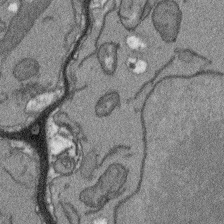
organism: Arabidopsis thaliana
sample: Root tip